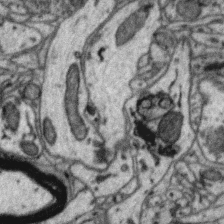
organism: Zebra finch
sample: Brain